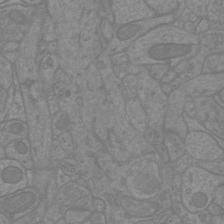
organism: Mouse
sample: Cortical neurons